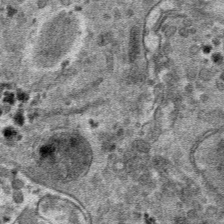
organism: Mouse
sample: Mouse hepatocytes